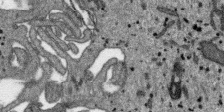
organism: Human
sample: Lung epithelial cells, uninfected (mock) control